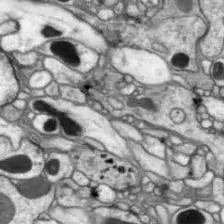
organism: Drosophila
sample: Optic lobe